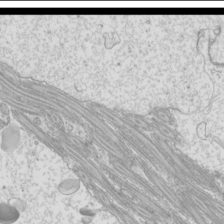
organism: Mouse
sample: Cilia; mouse epididymis